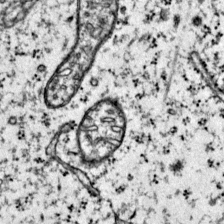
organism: Mouse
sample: Primary visual cortex